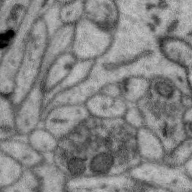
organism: Zebra finch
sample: Brain